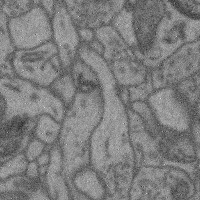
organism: Mouse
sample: Cerebral cortex